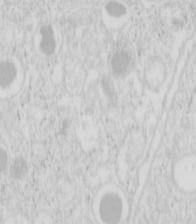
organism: Mouse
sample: Pancreas